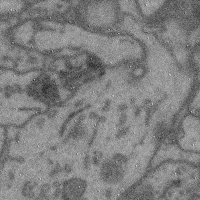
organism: Mouse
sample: Cerebral cortex